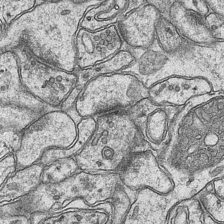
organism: Mouse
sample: CA1 Hippocampus